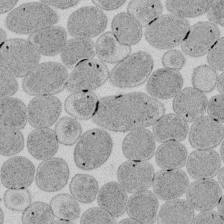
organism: E. coli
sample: Bacterial nucleoid